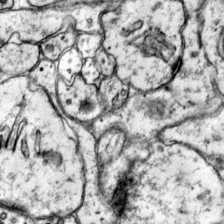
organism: Mouse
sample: Primary visual cortex